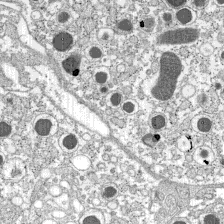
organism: C57BL Mouse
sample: Pancreatic islet